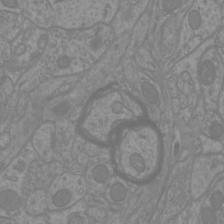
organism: Mouse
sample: Cortical neurons